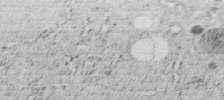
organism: C. elegans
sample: C. elegans embryo early stage